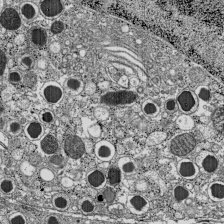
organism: C57BL Mouse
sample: Pancreatic islet